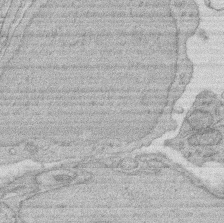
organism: Rat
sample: Salivary granule